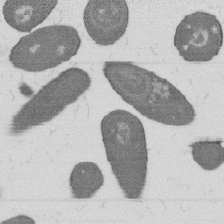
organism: B. subtilis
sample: Bacterial spore